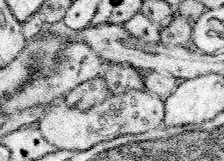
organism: Mouse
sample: Somatosensory cortex neuropil